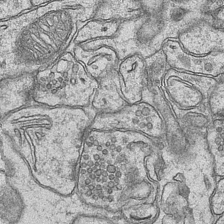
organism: Mouse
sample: CA1 Hippocampus